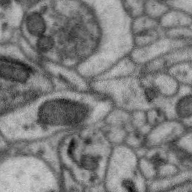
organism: Zebra finch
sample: Brain